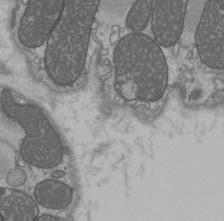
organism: C57BL Mouse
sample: Heart